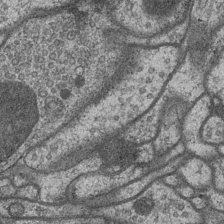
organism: Drosophila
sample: Optic medulla